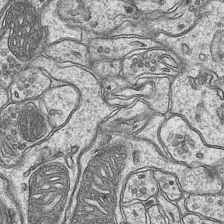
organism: Mouse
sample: CA1 Hippocampus